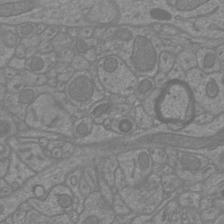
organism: Mouse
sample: Cortical neurons